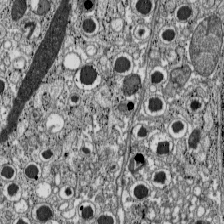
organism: C57BL Mouse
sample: Pancreatic islet